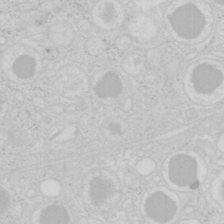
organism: Mouse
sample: Pancreas